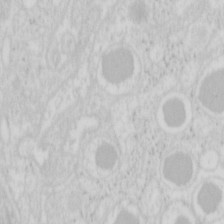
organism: Mouse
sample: Pancreas